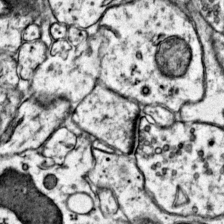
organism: Mouse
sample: Primary visual cortex